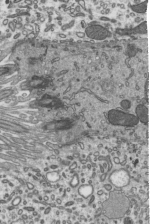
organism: Mouse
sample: Mouse epididymis efferent ductule cilia